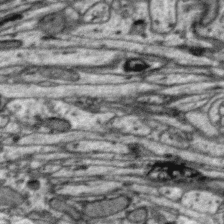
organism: Zebra finch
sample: Brain